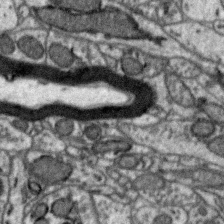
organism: Zebra finch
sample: Brain